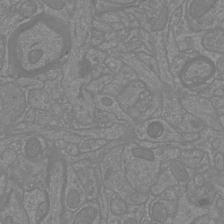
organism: Mouse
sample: Cortical neurons